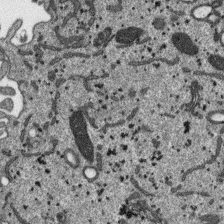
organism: Human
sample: Lung epithelial cells infected with SARS-CoV-2